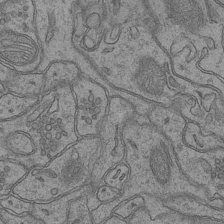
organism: Mouse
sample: CA1 Hippocampus